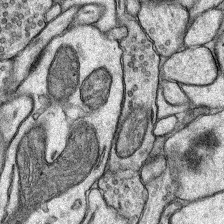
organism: Rat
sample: Hippocampus